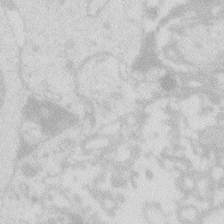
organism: Zebrafish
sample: Macrophage